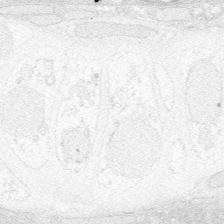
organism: Zebrafish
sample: Whole-Brain